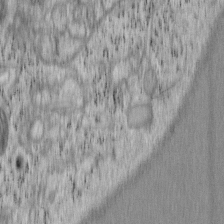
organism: Human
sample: HeLa cells